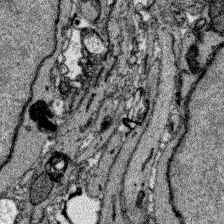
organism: Zebrafish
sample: Larval olfactory bulb